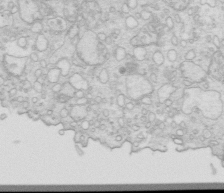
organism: Mouse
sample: Multiciliated cells